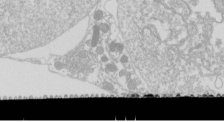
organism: Drosophila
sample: Cell division; meiosis; drosophila spermatocytes